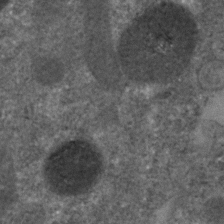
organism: C. elegans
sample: C. elegans embryo